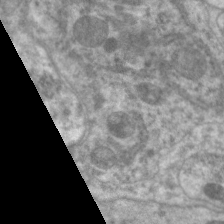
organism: C. elegans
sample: Pharynx